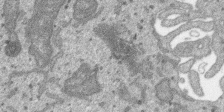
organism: Human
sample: Lung epithelial cells infected with SARS-CoV-2